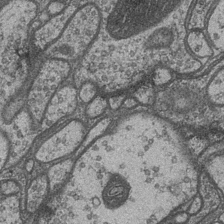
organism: Drosophila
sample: Optic medulla